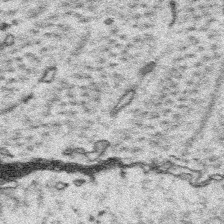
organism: Platynereis dumerilii